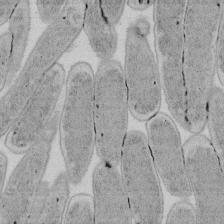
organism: E. coli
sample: Bacterial nucleoid